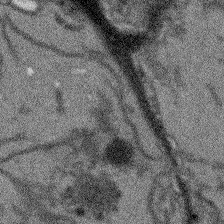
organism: Arabidopsis thaliana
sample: Root tip